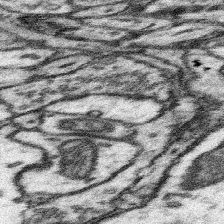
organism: Mouse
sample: Somatosensory cortex neuropil